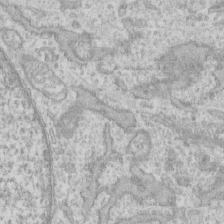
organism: Human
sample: CRL-1474